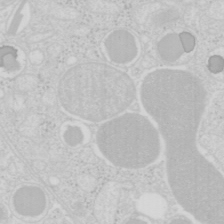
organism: Mouse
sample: Pancreas